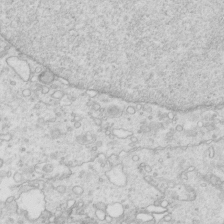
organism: Mouse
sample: Multiciliated cells